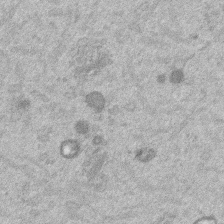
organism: Mouse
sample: Dividing mouse embryo 1 cell stage